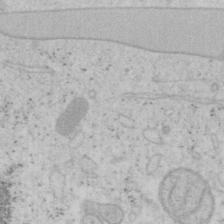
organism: Human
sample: HeLa cells